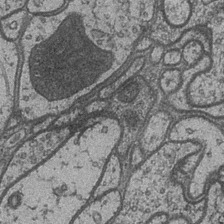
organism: Drosophila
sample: Optic medulla